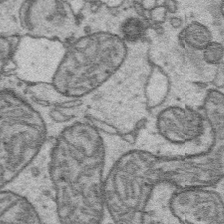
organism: Platynereis dumerilii